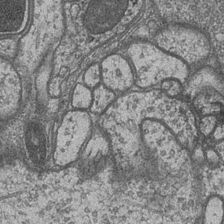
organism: Drosophila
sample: Optic medulla